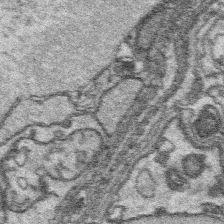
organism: Platynereis dumerilii